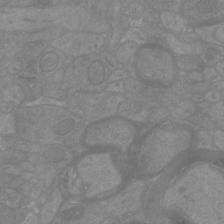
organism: Mouse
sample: Cortical neurons